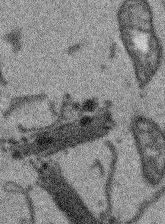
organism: Arabidopsis thaliana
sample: Root tip